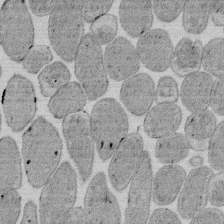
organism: E. coli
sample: Bacterial nucleoid